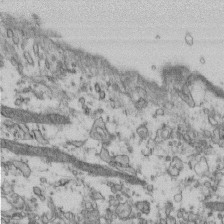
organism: Mouse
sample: Cilia; retinal pigment epithelium